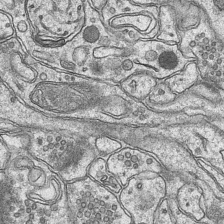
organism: Mouse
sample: CA1 Hippocampus